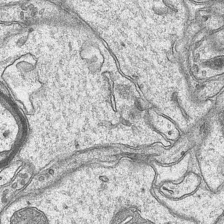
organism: Mouse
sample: CA1 Hippocampus